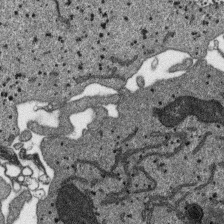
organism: Human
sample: Lung epithelial cells infected with SARS-CoV-2